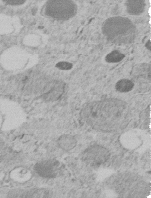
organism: C. elegans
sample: C. elegans embryo early stage